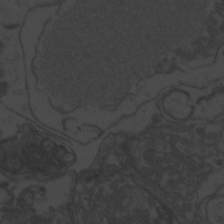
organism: Zebrafish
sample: Macrophage infected with Toxoplasma gondii